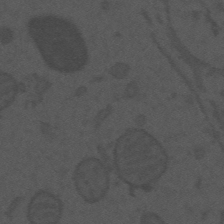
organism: Mouse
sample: Suprachiasmatic nucleus